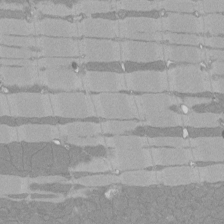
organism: Rat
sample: Left ventricle